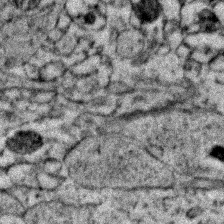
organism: Zebrafish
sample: Zebrafish embryo